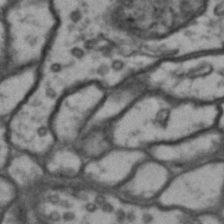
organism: Drosophila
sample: Brain